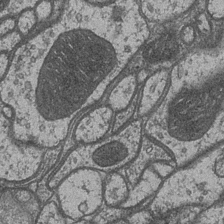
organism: Drosophila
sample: Optic medulla